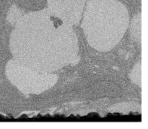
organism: Rat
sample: Salivary granule